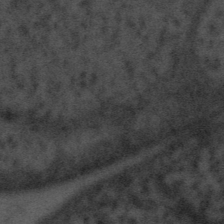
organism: Tuwongella immobilis